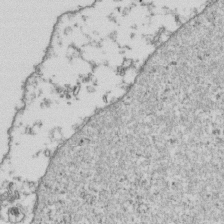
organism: Human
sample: Activated Jurkat CD4+ T cells